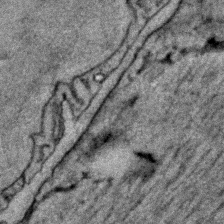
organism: C. elegans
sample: C. elegans embryo